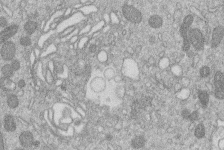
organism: Human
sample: Macrophage cells